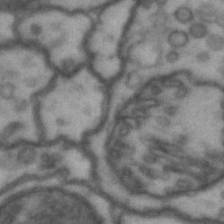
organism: Drosophila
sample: Brain